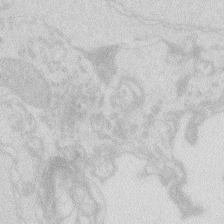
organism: Zebrafish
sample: Macrophage